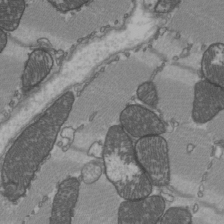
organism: C57BL Mouse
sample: Heart